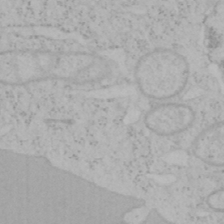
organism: Mouse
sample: OT-I killer T cells with ID8 ovarian cancer cells